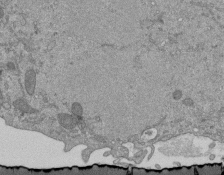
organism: Mouse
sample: ED-1 cell nuclei; centrioles